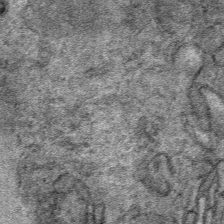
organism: Mouse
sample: Mouse Salivary gland